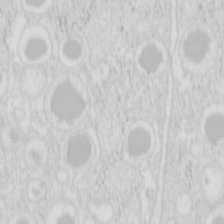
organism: Mouse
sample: Pancreas